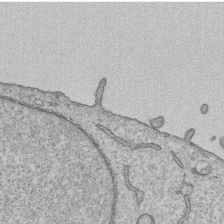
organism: Human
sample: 1205lu cells